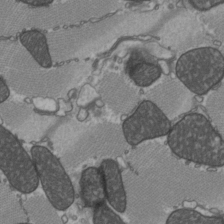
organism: C57BL Mouse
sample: Heart